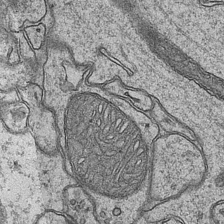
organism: Mouse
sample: CA1 Hippocampus